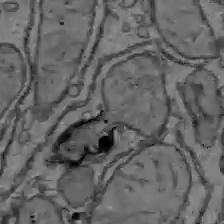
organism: C57BL Mouse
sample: Liver